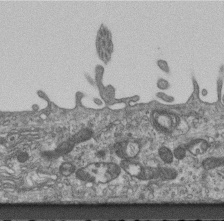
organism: Mouse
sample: Centriole in ependymal cells